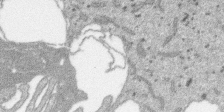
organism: Human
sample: Lung epithelial cells infected with SARS-CoV-2